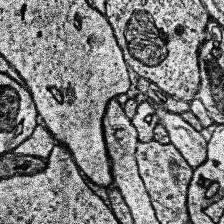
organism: Human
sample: Temporal Lobe